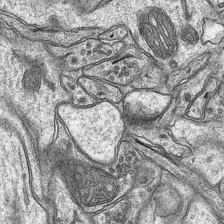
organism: Mouse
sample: CA1 Hippocampus